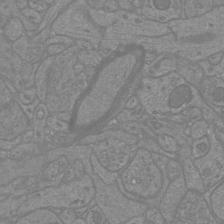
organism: Mouse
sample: Cortical neurons